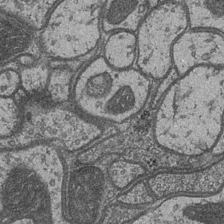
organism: Drosophila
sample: Optic medulla